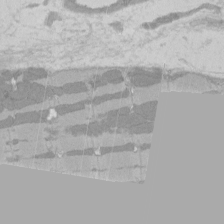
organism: Rat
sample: Left ventricle